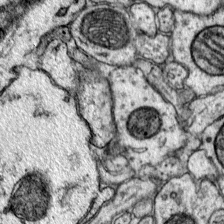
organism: Mouse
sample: Primary visual cortex